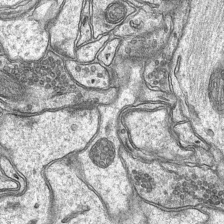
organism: Mouse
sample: CA1 Hippocampus